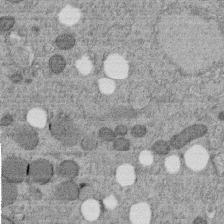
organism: C. elegans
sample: C. elegans embryo early stage